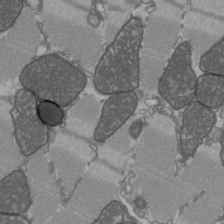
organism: C57BL Mouse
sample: Heart